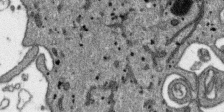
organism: Human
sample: Lung epithelial cells, uninfected (mock) control